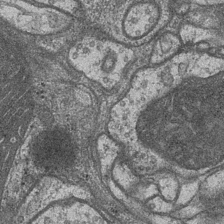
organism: Drosophila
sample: Optic medulla